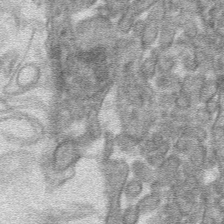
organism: Mouse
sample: Mouse hepatocytes